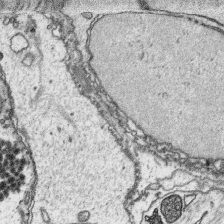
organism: Platynereis dumerilii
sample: Parapodia